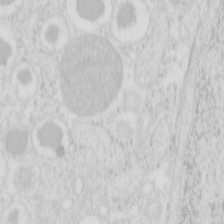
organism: Mouse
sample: Pancreas